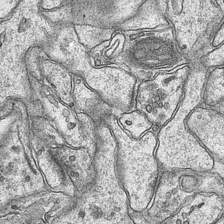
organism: Mouse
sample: CA1 Hippocampus